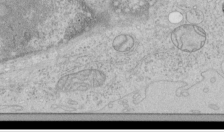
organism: Human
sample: Mitochondria in HCT116 cells